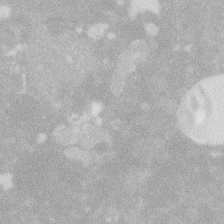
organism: Zebrafish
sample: Macrophage